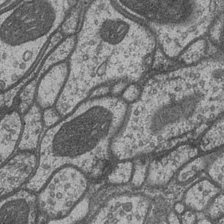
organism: Drosophila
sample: Optic medulla